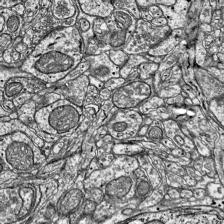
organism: Mouse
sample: Visual Cortex